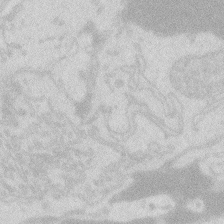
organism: Zebrafish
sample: Macrophage